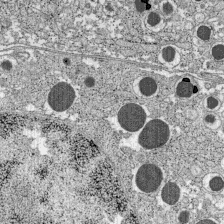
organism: C57BL Mouse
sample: Pancreatic islet